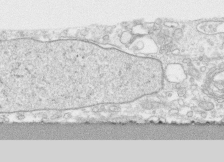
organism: Human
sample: CRL-1474